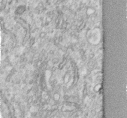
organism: Human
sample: Centriole in fibroblast cells